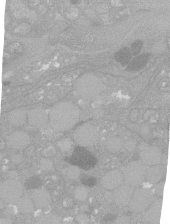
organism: C. elegans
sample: C. elegans oocyte; sperm cells